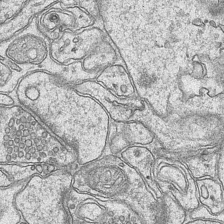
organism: Mouse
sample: CA1 Hippocampus